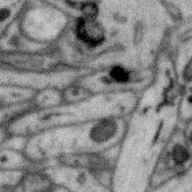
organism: Zebra finch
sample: Brain